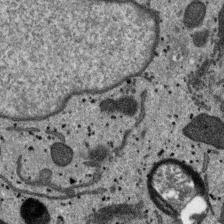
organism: Human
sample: Lung epithelial cells, uninfected (mock) control